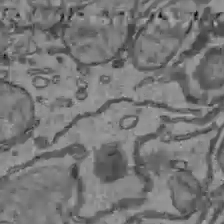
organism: C57BL Mouse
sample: Liver